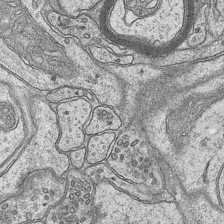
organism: Mouse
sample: CA1 Hippocampus